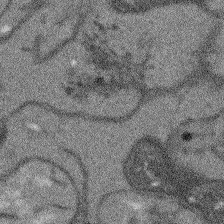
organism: Arabidopsis thaliana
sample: Root tip